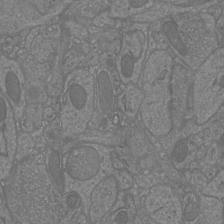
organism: Mouse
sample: Cortical neurons